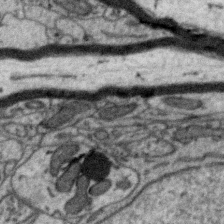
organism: Zebra finch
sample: Brain